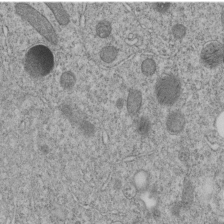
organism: C. elegans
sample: C. elegans embryo early stage